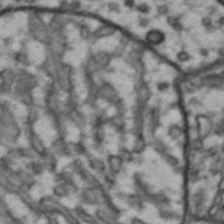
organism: Drosophila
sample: Brain